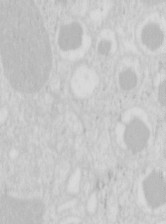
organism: Mouse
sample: Pancreas